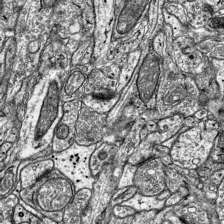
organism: Mouse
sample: Visual Cortex